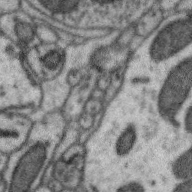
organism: Zebra finch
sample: Brain